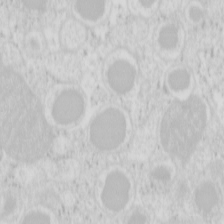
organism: Mouse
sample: Pancreas